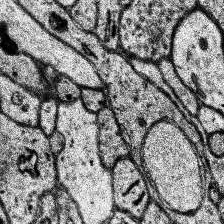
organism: Human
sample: Temporal Lobe